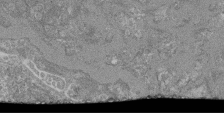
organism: Mouse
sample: Glomerulus